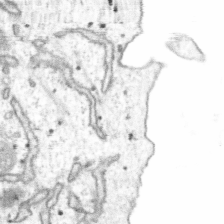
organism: Human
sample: HeLa cells